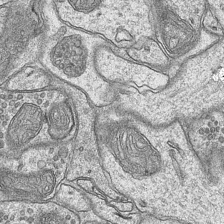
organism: Mouse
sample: CA1 Hippocampus